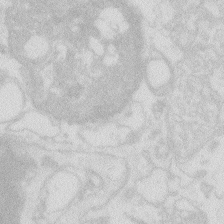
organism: Zebrafish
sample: Macrophage